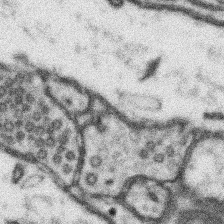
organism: Mouse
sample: Somatosensory cortex neuropil